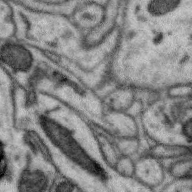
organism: Zebra finch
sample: Brain